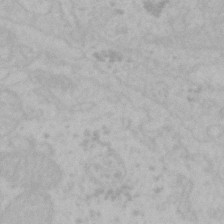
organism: Mouse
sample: Choroid plexus